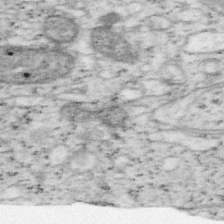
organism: Mouse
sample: OT-I killer T cells with ID8 ovarian cancer cells